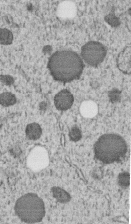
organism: C. elegans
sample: C. elegans embryo early stage